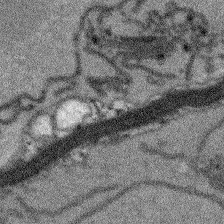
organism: Arabidopsis thaliana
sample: Root tip